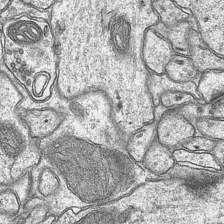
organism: Mouse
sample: CA1 Hippocampus